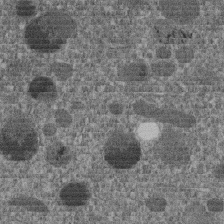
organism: C. elegans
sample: C. elegans embryo early stage